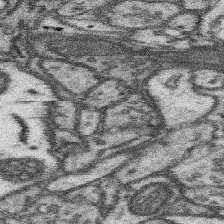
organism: Mouse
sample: Somatosensory cortex neuropil